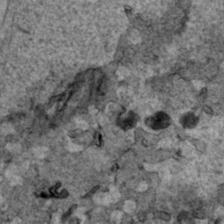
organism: Human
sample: Mitochondria in HCT116 cells